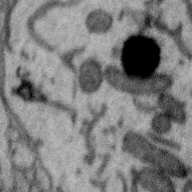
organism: Zebra finch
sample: Brain